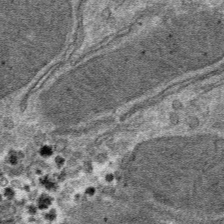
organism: Mouse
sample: Mouse hepatocytes